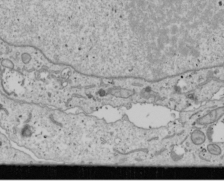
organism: Human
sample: Mitochondria in U2OS cells